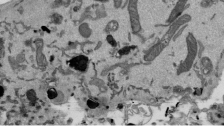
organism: Mouse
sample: ED-1 cell nuclei; centrioles